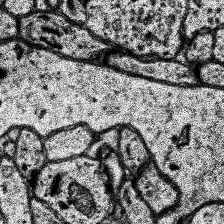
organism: Human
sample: Temporal Lobe